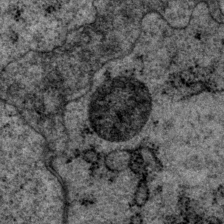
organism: P. pacificus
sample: Pharynx